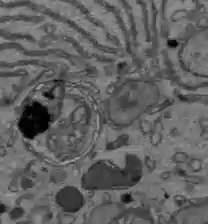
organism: C57BL Mouse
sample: Liver